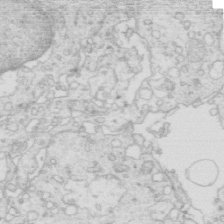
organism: Mouse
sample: Multiciliated cells